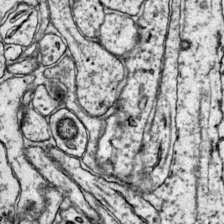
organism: Mouse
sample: Primary visual cortex